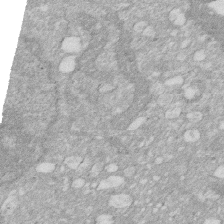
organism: Human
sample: HIV infected U937 cells